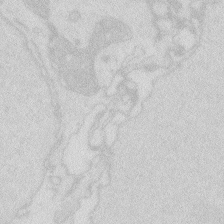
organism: Zebrafish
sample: Macrophage